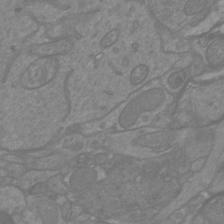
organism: Mouse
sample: Cortical neurons